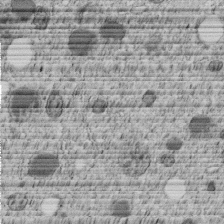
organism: C. elegans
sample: C. elegans embryo early stage